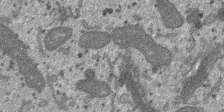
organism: Human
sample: Lung epithelial cells infected with SARS-CoV-2